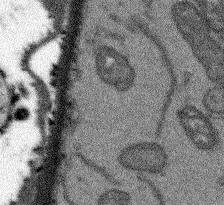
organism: Arabidopsis thaliana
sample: Root tip